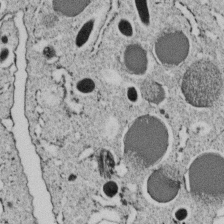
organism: C. elegans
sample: C. elegans embryo early stage